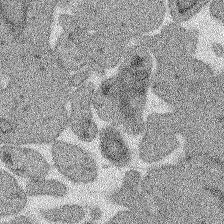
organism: Human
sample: HeLa cells